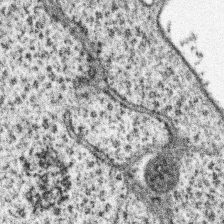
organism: Human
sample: HeLa cells